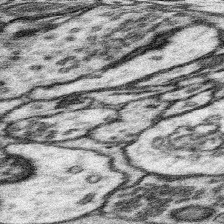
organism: Mouse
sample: Somatosensory cortex neuropil